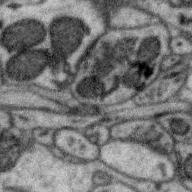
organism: Zebra finch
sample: Brain